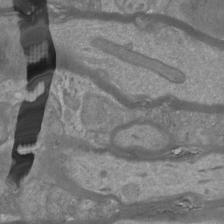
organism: Mouse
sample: Cortical neurons